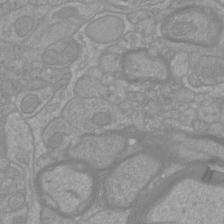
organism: Mouse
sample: Cortical neurons